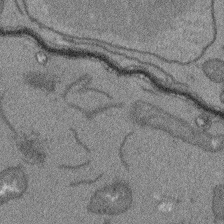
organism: Arabidopsis thaliana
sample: Root tip